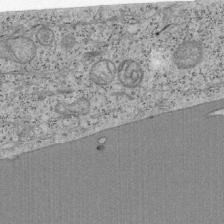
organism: Human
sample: HeLa cells